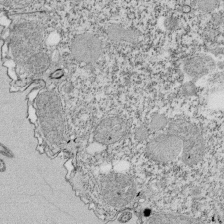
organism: Tetrahymena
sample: Cilia in tetrahymena